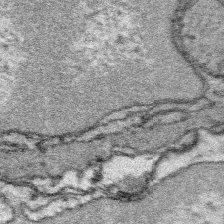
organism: Platynereis dumerilii